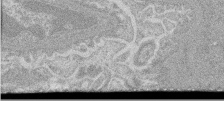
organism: Mouse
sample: Glomerulus